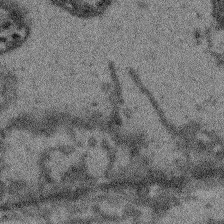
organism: Arabidopsis thaliana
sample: Root tip